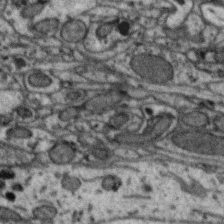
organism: Zebra finch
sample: Brain